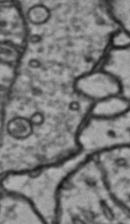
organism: Drosophila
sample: Brain